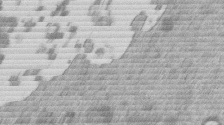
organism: Mouse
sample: Dividing mouse embryo 1 cell stage